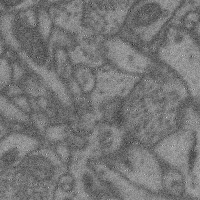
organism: Mouse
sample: Cerebral cortex